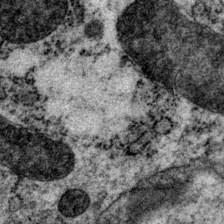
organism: P. pacificus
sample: Pharynx